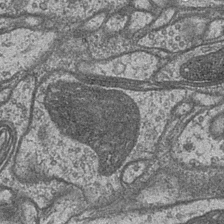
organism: Drosophila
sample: Optic medulla